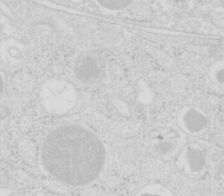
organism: Mouse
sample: Pancreas